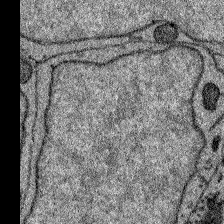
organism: Zebrafish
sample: Larval olfactory bulb